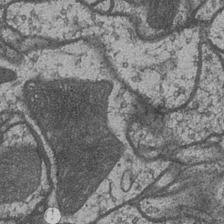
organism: Drosophila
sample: Optic medulla